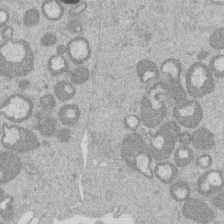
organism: Mouse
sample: Dividing mouse embryo 1 cell stage